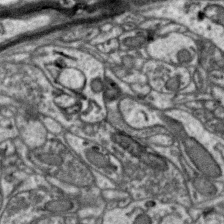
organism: Zebra finch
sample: Brain